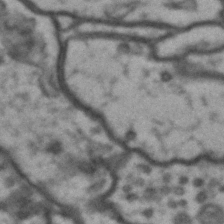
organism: Drosophila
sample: Brain